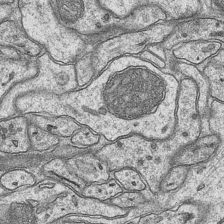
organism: Mouse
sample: CA1 Hippocampus